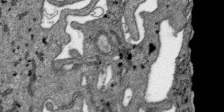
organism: Human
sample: Lung epithelial cells, uninfected (mock) control